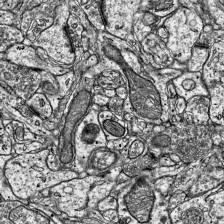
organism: Mouse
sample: Visual Cortex